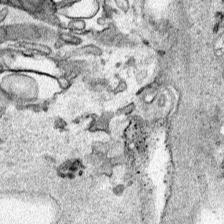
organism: Human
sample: Mitochondria in HCT116 cells